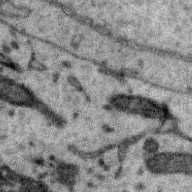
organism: Zebra finch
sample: Brain